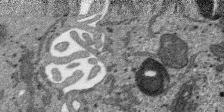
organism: Human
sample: Lung epithelial cells infected with SARS-CoV-2